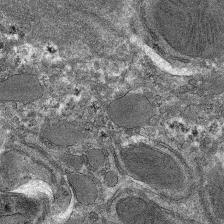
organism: Mouse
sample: Mouse hepatocytes